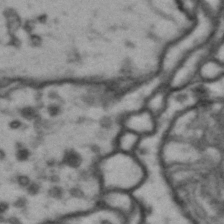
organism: Drosophila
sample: Brain